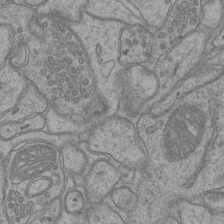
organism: Mouse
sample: CA1 Hippocampus